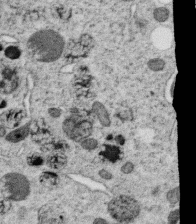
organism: C. elegans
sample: C. elegans oocyte; sperm cells